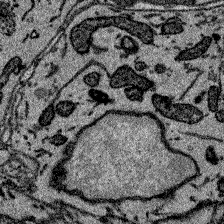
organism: Zebrafish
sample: Larval olfactory bulb